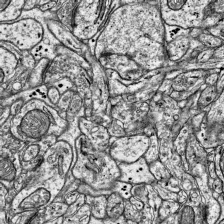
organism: Mouse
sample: Visual Cortex